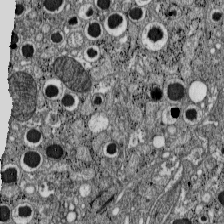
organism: C57BL Mouse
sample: Pancreatic islet